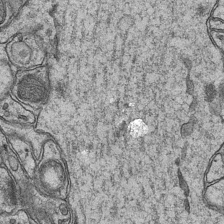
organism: Mouse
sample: CA1 Hippocampus